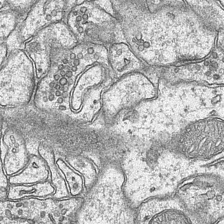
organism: Mouse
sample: CA1 Hippocampus